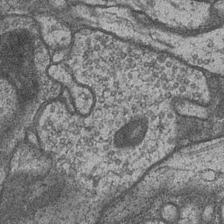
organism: Drosophila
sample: Optic medulla